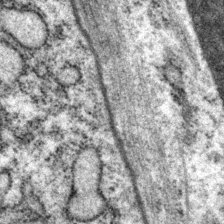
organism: P. pacificus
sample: Pharynx